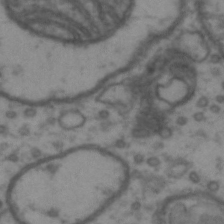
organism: Drosophila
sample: Brain